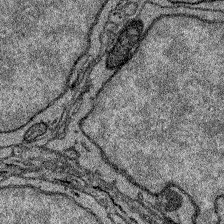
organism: Zebrafish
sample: Larval olfactory bulb